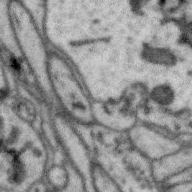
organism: Zebra finch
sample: Brain